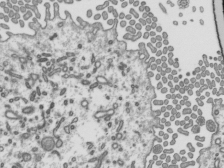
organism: Mouse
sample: Mouse epididymis efferent ductule cilia